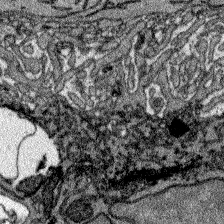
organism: Zebrafish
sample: Larval olfactory bulb